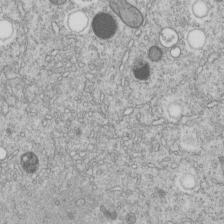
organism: C. elegans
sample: C. elegans embryo early stage